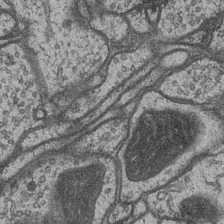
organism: Drosophila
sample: Optic medulla